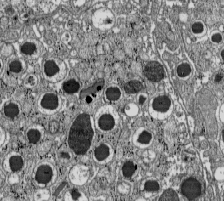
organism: C57BL Mouse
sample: Pancreatic islet